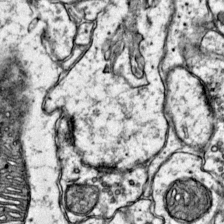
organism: Mouse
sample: Primary visual cortex